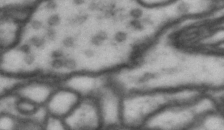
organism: Drosophila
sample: Brain